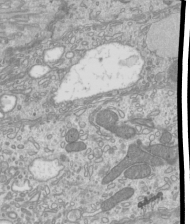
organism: Mouse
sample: Cilia; mouse epididymis